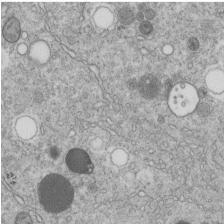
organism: C. elegans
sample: C. elegans embryo early stage